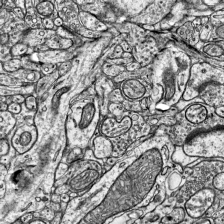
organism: Mouse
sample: Visual Cortex